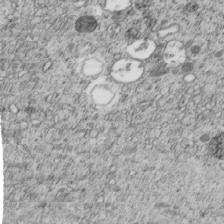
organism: C. elegans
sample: C. elegans embryo early stage